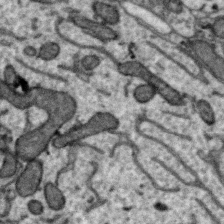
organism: Zebra finch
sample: Brain